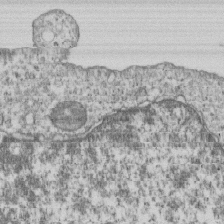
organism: Human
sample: MDA-MB-231 cells